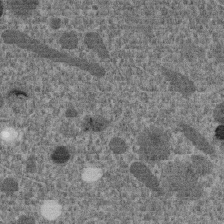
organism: C. elegans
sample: C. elegans embryo early stage